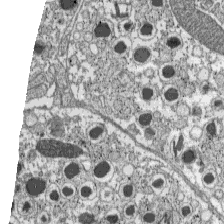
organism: C57BL Mouse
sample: Pancreatic islet